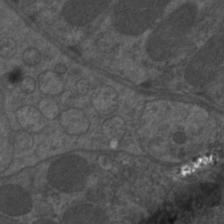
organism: C. elegans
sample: Pharynx